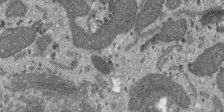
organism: Human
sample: Lung epithelial cells infected with SARS-CoV-2